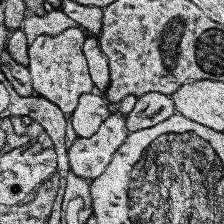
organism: Human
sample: Temporal Lobe